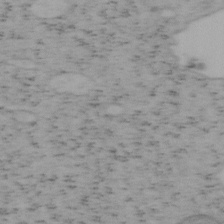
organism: Mouse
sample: OT-I killer T cells with ID8 ovarian cancer cells